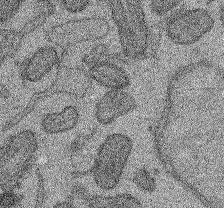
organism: Human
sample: HeLa cells